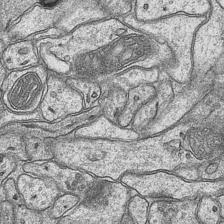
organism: Mouse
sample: CA1 Hippocampus